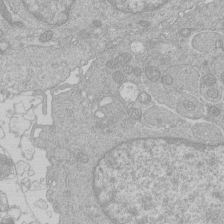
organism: Human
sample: Macrophage cells